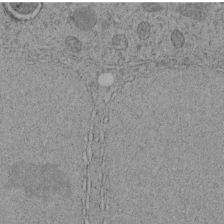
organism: C. elegans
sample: C. elegans embryo early stage